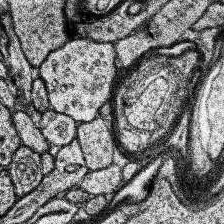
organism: Human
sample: Temporal Lobe